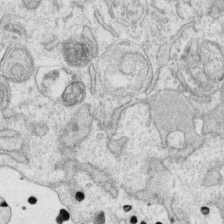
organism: Human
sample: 1205lu cells